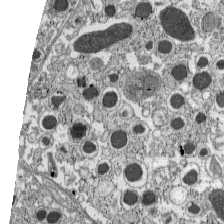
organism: C57BL Mouse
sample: Pancreatic islet